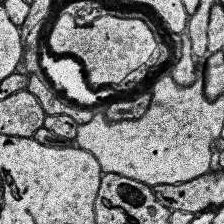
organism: Human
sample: Temporal Lobe